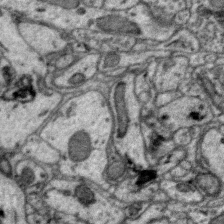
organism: Zebra finch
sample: Brain